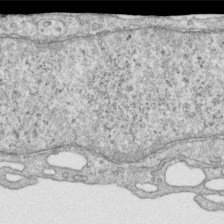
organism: Human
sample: Centriole in RPE cells